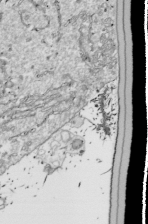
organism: Drosophila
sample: Cell division; meiosis; drosophila spermatocytes